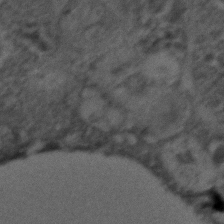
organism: C. elegans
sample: C. elegans embryo